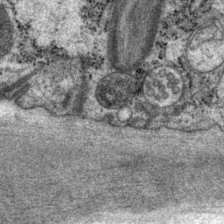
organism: P. pacificus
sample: Pharynx